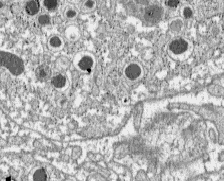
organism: C57BL Mouse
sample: Pancreatic islet